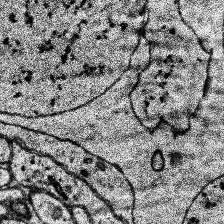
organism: Human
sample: Temporal Lobe